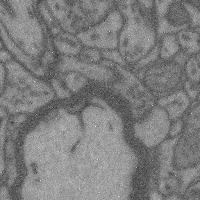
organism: Mouse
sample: Cerebral cortex